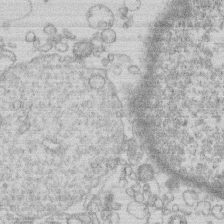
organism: Human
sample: Macrophage cells